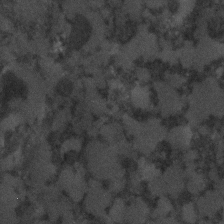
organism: C. elegans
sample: C. elegans embryo